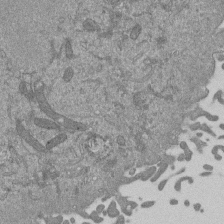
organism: Mouse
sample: ED-1 cell nuclei; centrioles